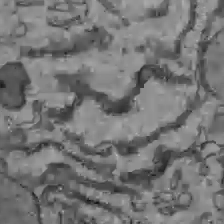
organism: C57BL Mouse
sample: Liver